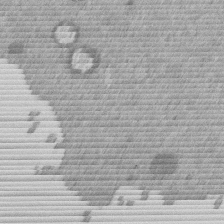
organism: Mouse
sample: Dividing mouse embryo 1 cell stage